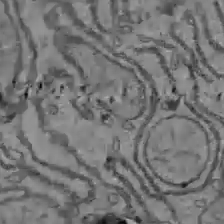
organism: C57BL Mouse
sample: Liver